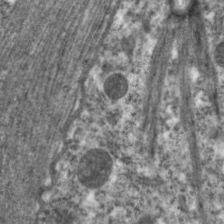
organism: C. elegans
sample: Pharynx